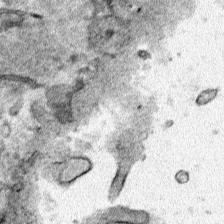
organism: Human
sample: Mitochondria in HCT116 cells